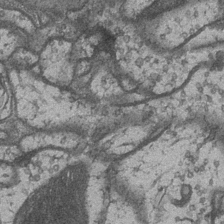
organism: Drosophila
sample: Optic medulla